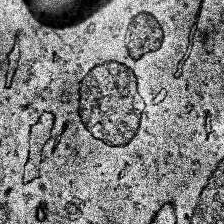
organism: Human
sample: Temporal Lobe